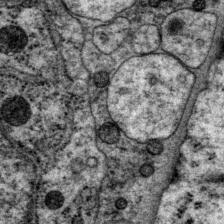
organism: P. pacificus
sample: Pharynx